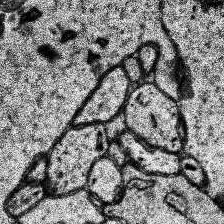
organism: Human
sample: Temporal Lobe